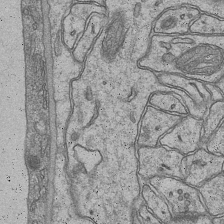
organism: Mouse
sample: CA1 Hippocampus